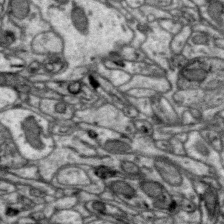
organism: Zebra finch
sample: Brain